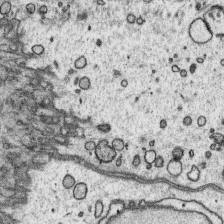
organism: Platynereis dumerilii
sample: Parapodia